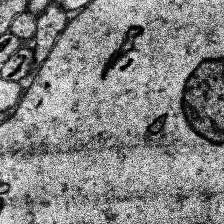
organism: Human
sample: Temporal Lobe